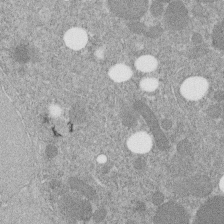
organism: C. elegans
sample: C. elegans embryo early stage